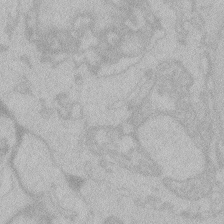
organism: Zebrafish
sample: Macrophage infected with Toxoplasma gondii